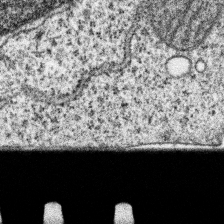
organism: Human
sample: HeLa cells